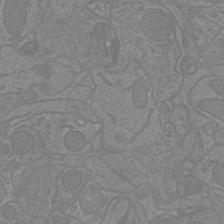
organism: Mouse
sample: Cortical neurons